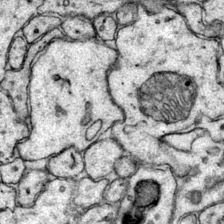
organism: Mouse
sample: Primary visual cortex